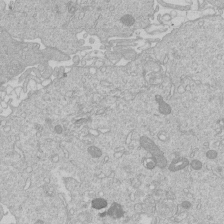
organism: Human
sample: Macrophage cells